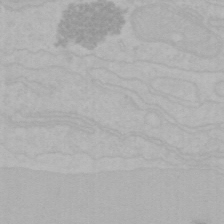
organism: Mouse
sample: Choroid plexus